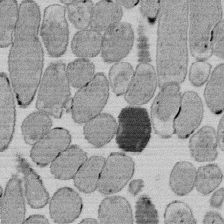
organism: E. coli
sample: Bacterial nucleoid